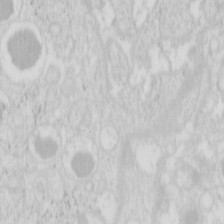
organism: Mouse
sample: Pancreas